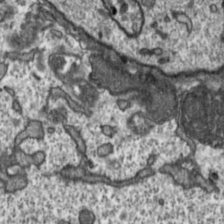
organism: Toxoplasma gondii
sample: Parasites in a vacuole inside a host cell